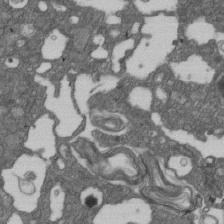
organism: Drosophila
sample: Nephrocyte